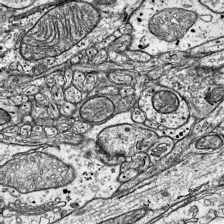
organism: Mouse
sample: Visual Cortex